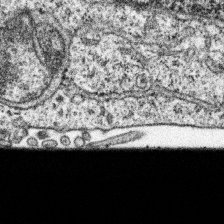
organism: Human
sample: HeLa cells